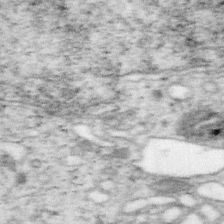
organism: Mouse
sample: OT-I killer T cells with ID8 ovarian cancer cells